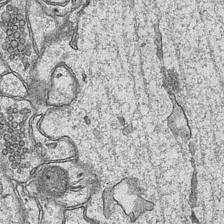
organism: Mouse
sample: CA1 Hippocampus